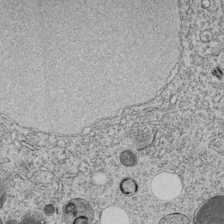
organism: C. elegans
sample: C. elegans embryo early stage